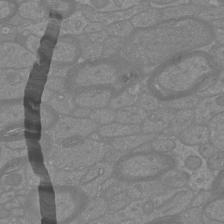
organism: Mouse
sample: Cortical neurons